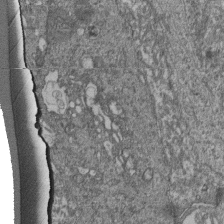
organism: Human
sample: Retinal organoid Rod and Cone cells